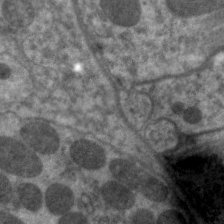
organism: C. elegans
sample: Pharynx